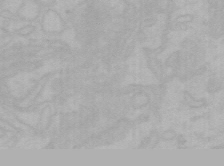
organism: Mouse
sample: Choroid plexus